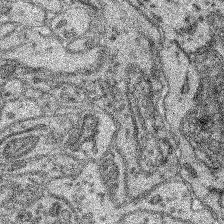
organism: Mouse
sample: Retina